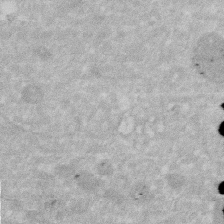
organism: Human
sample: HIV infected U937 cells